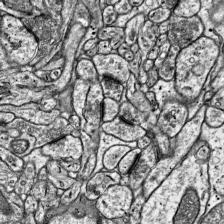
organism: Mouse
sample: Visual Cortex